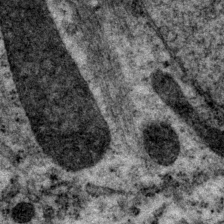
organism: P. pacificus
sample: Pharynx